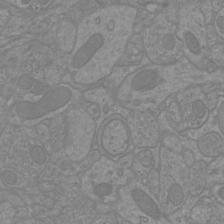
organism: Mouse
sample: Cortical neurons